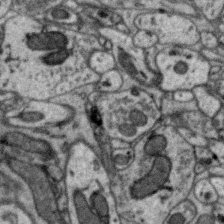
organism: Zebra finch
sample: Brain